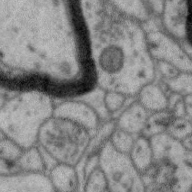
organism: Zebra finch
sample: Brain